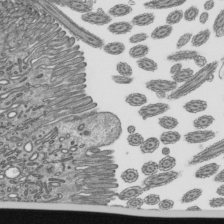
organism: Mouse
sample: Mouse epididymis efferent ductule cilia